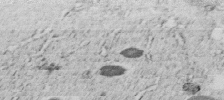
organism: C. elegans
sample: C. elegans embryo early stage